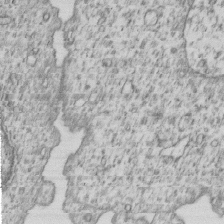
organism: Human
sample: MDA-MB-231 cells